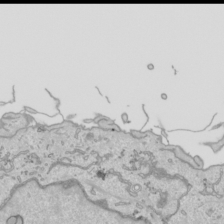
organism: Human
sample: Mitochondria in HCT116 cells